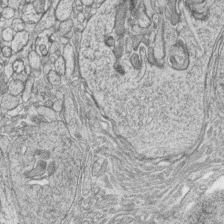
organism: Zebrafish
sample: synaptic ribbons in rod cells and cone cells